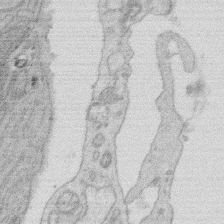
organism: Rat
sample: Salivary granule